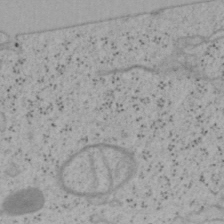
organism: Human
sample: HeLa cells